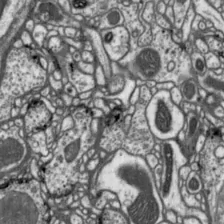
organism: Drosophila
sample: Protocerebral bridge